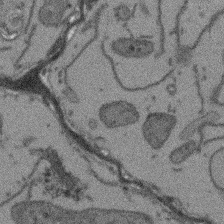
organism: Arabidopsis thaliana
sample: Root tip